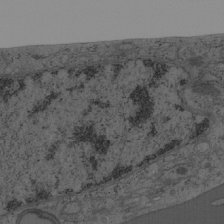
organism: Human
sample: HeLa cells